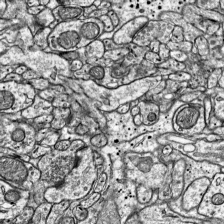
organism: Mouse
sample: Visual Cortex